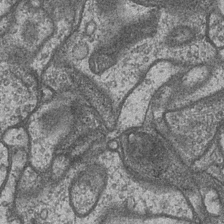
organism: Drosophila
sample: Optic medulla